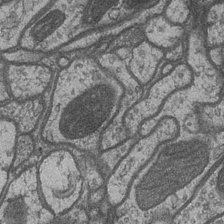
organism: Drosophila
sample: Optic medulla